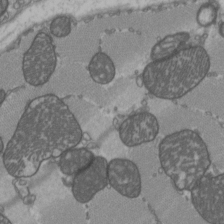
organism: C57BL Mouse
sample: Heart